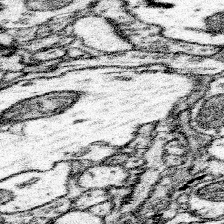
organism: Mouse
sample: Somatosensory cortex neuropil